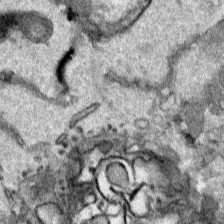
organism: Human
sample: Mitochondria in HCT116 cells